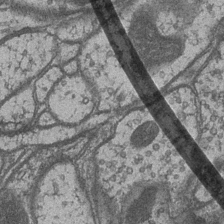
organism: Drosophila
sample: Optic medulla